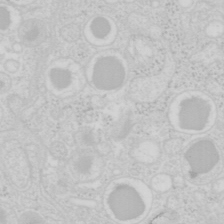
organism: Mouse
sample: Pancreas